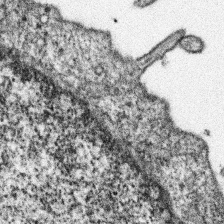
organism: Human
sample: HeLa cells